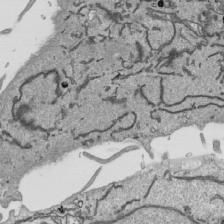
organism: Human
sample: Mitochondria in HCT116 cells